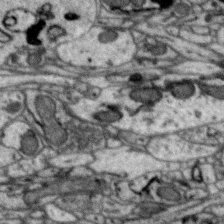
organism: Zebra finch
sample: Brain